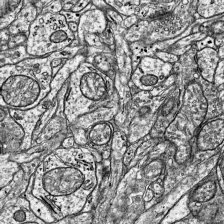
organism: Mouse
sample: Visual Cortex